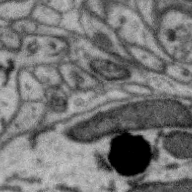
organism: Zebra finch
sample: Brain